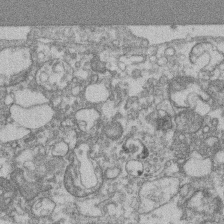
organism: Mouse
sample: T cell stromal cell synapse